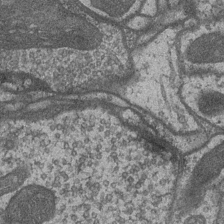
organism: Drosophila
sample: Optic medulla